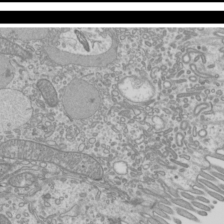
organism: Mouse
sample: Cilia; mouse epididymis